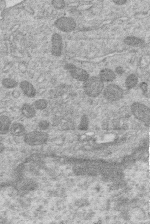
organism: Human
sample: Macrophage cells